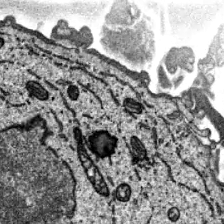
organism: Human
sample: HeLa cells